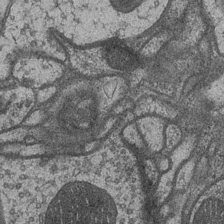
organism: Drosophila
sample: Optic medulla